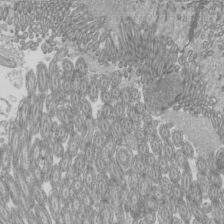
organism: Mouse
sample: Cilia; mouse epididymis